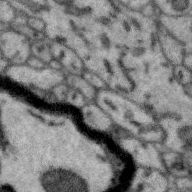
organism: Zebra finch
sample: Brain